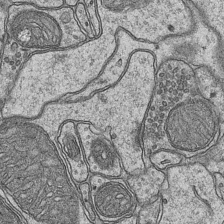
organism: Mouse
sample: CA1 Hippocampus